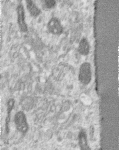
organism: Human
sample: Centriole in RPE cells